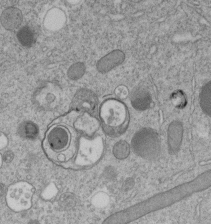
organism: C. elegans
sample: C. elegans embryo early stage